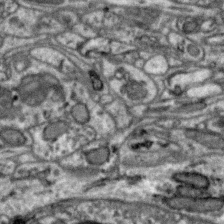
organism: Zebra finch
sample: Brain